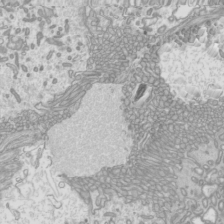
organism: Mouse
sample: Cilia; mouse epididymis